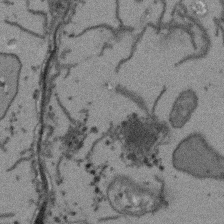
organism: Arabidopsis thaliana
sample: Root tip